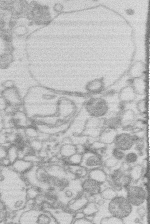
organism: Human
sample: Macrophage cells